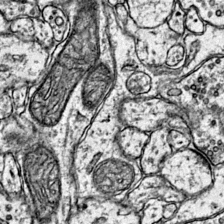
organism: Mouse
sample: Primary visual cortex